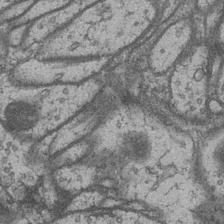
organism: Drosophila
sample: Optic medulla